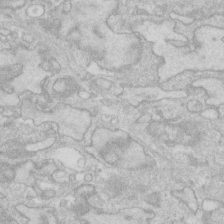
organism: Human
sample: Fibroblast cells